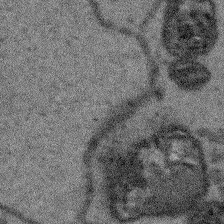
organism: Arabidopsis thaliana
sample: Root tip